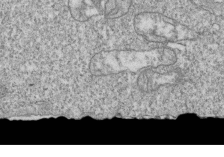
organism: Human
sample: HeLa cell HIV synapse